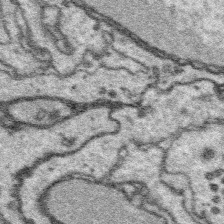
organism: Platynereis dumerilii